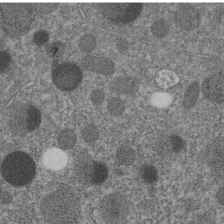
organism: C. elegans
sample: C. elegans embryo early stage